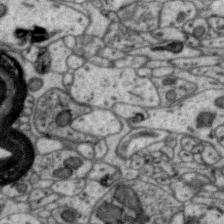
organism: Zebra finch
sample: Brain